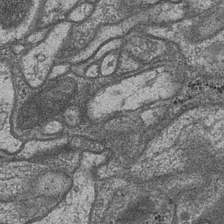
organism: Drosophila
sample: Optic medulla